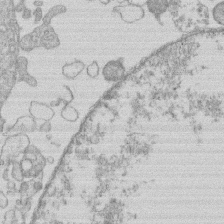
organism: Human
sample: Macrophage cells